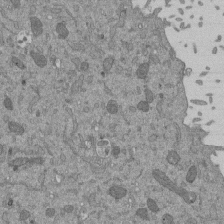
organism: Mouse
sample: ED-1 cell nuclei; centrioles